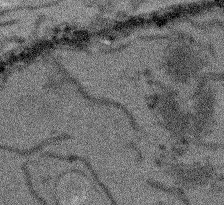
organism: Arabidopsis thaliana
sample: Root tip